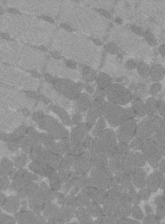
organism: C57BL Mouse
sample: Tibialis anterior muscle cell